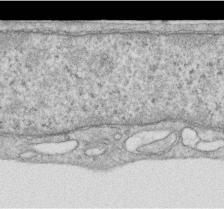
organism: Human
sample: Centriole in RPE cells